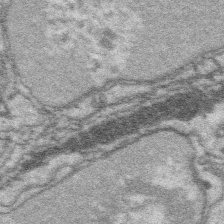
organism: Platynereis dumerilii